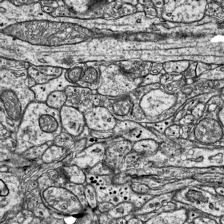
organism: Mouse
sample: Visual Cortex